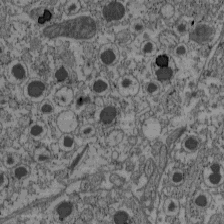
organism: C57BL Mouse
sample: Pancreatic islet